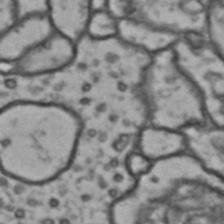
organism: Drosophila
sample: Brain